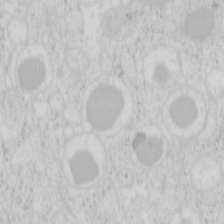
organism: Mouse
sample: Pancreas